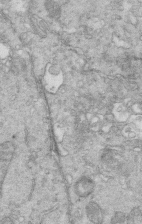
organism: Mouse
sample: Multiciliated cells